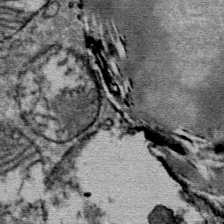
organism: Mouse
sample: Mouse Salivary gland